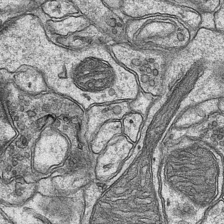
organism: Mouse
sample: CA1 Hippocampus